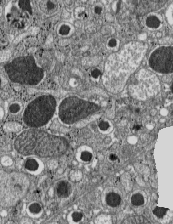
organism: C57BL Mouse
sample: Pancreatic islet